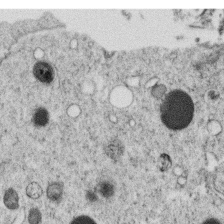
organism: C. elegans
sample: C. elegans oocyte; sperm cells